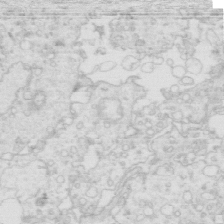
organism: Mouse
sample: Multiciliated cells